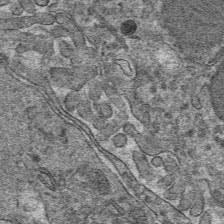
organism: Mouse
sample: Mouse hepatocytes